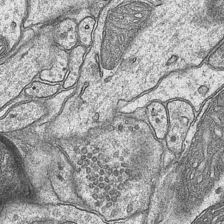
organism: Mouse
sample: CA1 Hippocampus